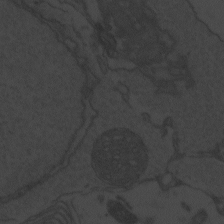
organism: Zebrafish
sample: Macrophage infected with Toxoplasma gondii